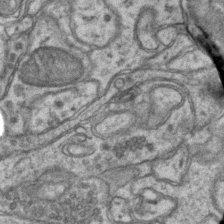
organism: Mouse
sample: CA1 Hippocampus